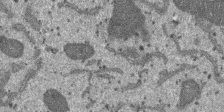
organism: Human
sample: Lung epithelial cells infected with SARS-CoV-2